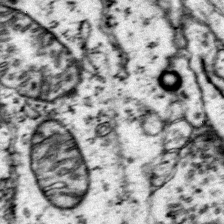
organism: Mouse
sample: Primary visual cortex